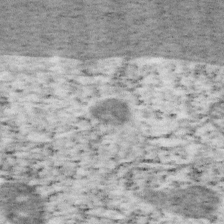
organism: Mouse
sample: OT-I killer T cells with ID8 ovarian cancer cells